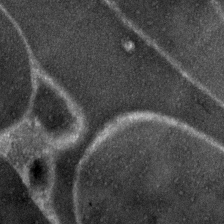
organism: Zebrafish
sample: Zebrafish embryo